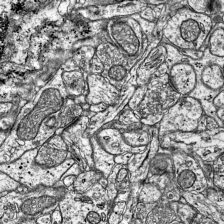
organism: Mouse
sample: Visual Cortex